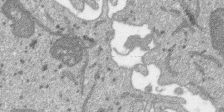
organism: Human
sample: Lung epithelial cells infected with SARS-CoV-2